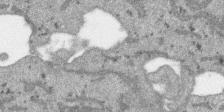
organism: Human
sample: Lung epithelial cells infected with SARS-CoV-2